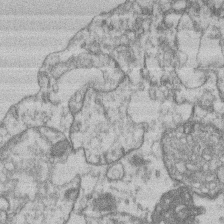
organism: Mouse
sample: T cell stromal cell synapse